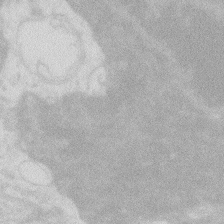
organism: Zebrafish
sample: Macrophage